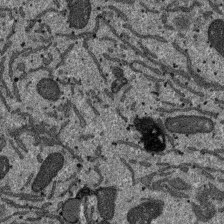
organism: Human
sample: Lung epithelial cells infected with SARS-CoV-2